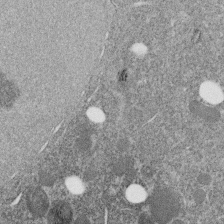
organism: C. elegans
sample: C. elegans embryo early stage